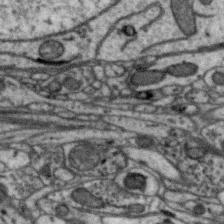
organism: Zebra finch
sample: Brain